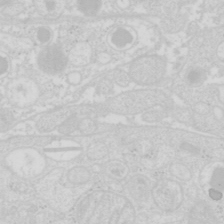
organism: Mouse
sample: Pancreas